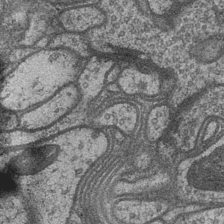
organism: Drosophila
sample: Optic medulla